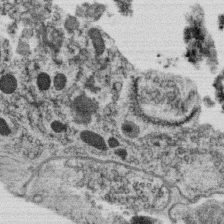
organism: C. elegans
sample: C. elegans oocyte; sperm cells